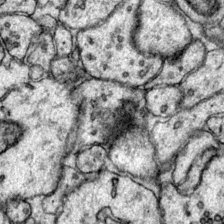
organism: Mouse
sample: Primary visual cortex